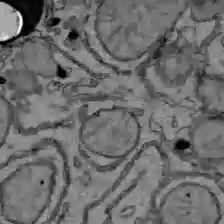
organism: C57BL Mouse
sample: Liver